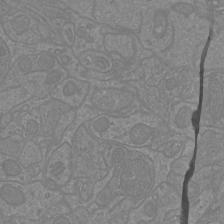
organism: Mouse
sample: Cortical neurons